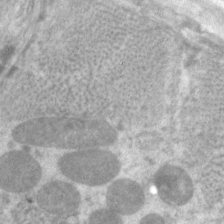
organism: C. elegans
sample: Pharynx